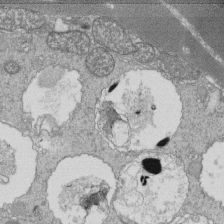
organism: Tetrahymena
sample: Cilia in tetrahymena